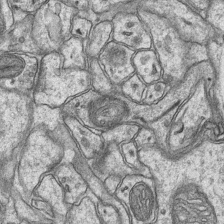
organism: Mouse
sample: CA1 Hippocampus